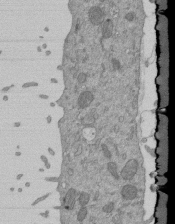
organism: Mouse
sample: ED-1 cell nuclei; centrioles